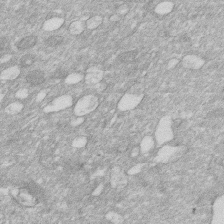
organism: Human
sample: HIV infected U937 cells